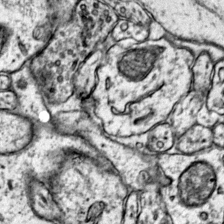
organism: Mouse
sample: Primary visual cortex